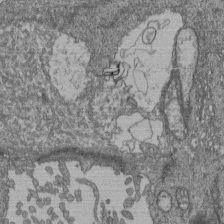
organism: Human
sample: Retinal organoid Rod and Cone cells